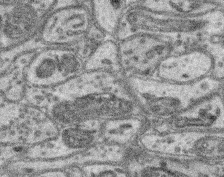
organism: Mouse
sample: Retina